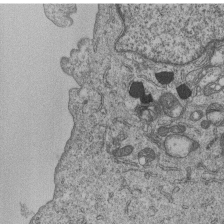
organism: Human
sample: MDA-MB-231 cells